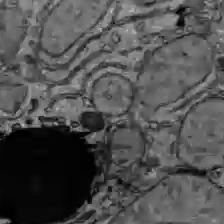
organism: C57BL Mouse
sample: Liver